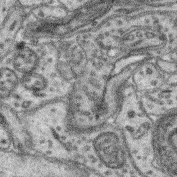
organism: Mouse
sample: Retina